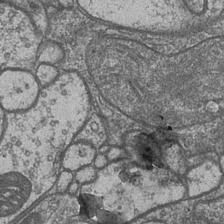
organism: Drosophila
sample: Optic medulla